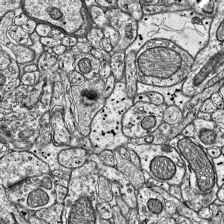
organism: Mouse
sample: Visual Cortex